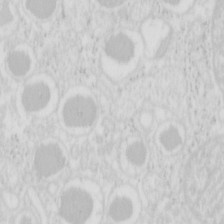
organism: Mouse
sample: Pancreas